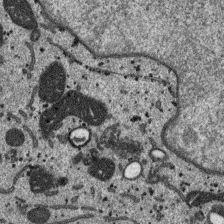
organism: Human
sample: Lung epithelial cells infected with SARS-CoV-2